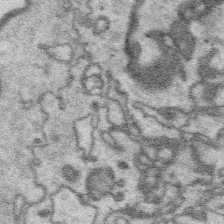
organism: Platynereis dumerilii